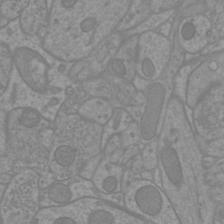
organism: Mouse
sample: Cortical neurons